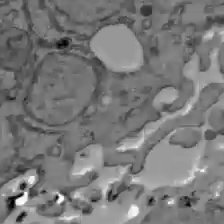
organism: C57BL Mouse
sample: Liver